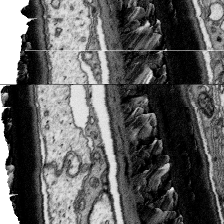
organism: Platynereis dumerilii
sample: Parapodia